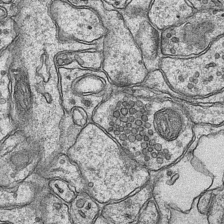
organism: Mouse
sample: CA1 Hippocampus